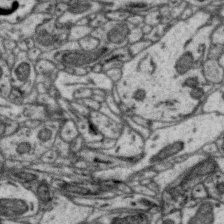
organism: Zebra finch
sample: Brain